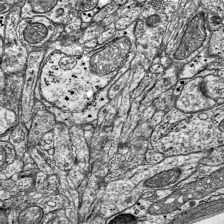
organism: Mouse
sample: Visual Cortex